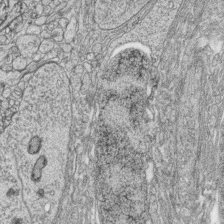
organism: Zebrafish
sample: synaptic ribbons in rod cells and cone cells